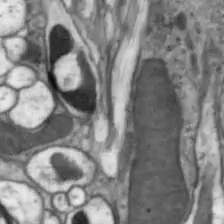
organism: Drosophila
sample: Optic lobe